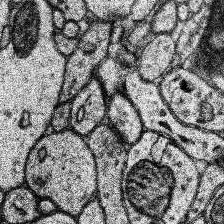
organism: Human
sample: Temporal Lobe